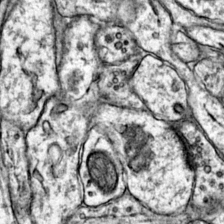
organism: Mouse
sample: Primary visual cortex